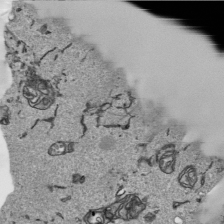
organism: Human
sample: Mitochondria in HCT116 cells